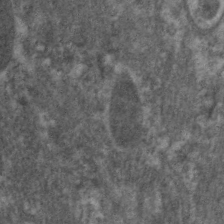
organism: C. elegans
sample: Pharynx